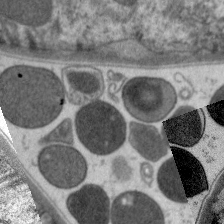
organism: C. elegans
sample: Pharynx